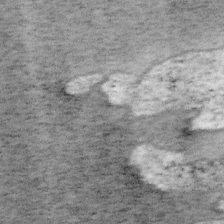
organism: Mouse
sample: OT-I killer T cells with ID8 ovarian cancer cells